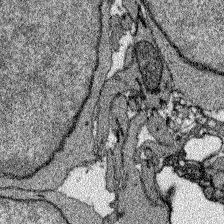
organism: Zebrafish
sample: Larval olfactory bulb